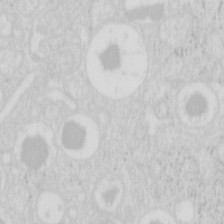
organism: Mouse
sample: Pancreas